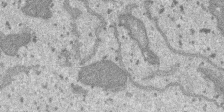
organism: Human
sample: Lung epithelial cells infected with SARS-CoV-2